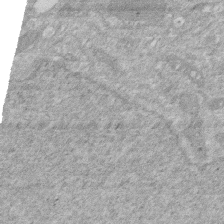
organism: Human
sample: HIV infected U937 cells